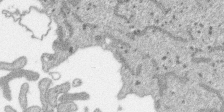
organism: Human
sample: Lung epithelial cells infected with SARS-CoV-2